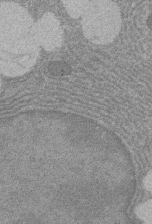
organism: Rat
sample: Salivary granule